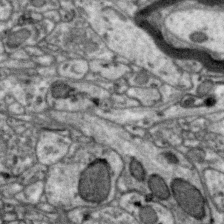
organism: Zebra finch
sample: Brain